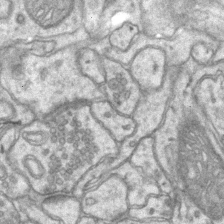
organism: Mouse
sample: CA1 Hippocampus